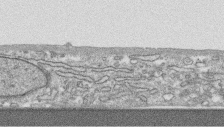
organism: Human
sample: CRL-1474